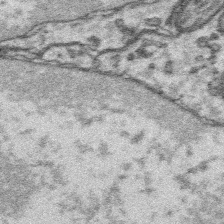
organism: Platynereis dumerilii